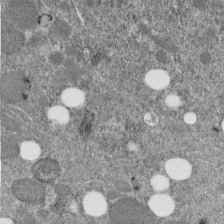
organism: C. elegans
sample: C. elegans embryo early stage